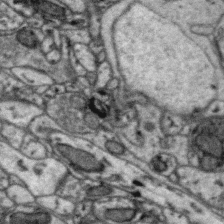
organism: Zebra finch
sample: Brain